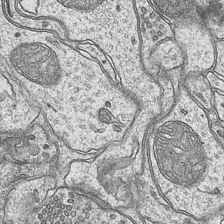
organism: Mouse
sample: CA1 Hippocampus